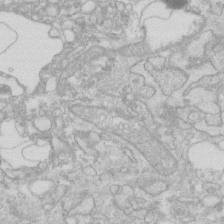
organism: Human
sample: Fibroblast cells